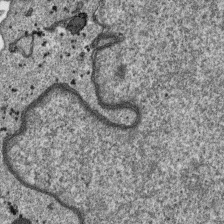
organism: Human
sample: Lung epithelial cells infected with SARS-CoV-2